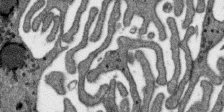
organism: Human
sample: Lung epithelial cells, uninfected (mock) control